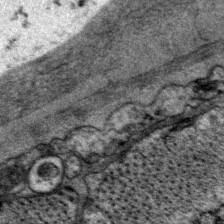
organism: P. pacificus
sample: Pharynx